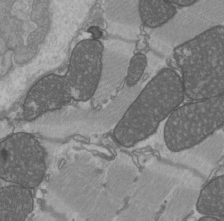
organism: C57BL Mouse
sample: Heart